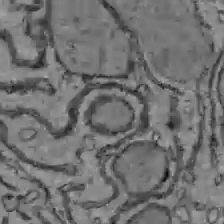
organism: C57BL Mouse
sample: Liver